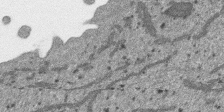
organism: Human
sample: Lung epithelial cells infected with SARS-CoV-2